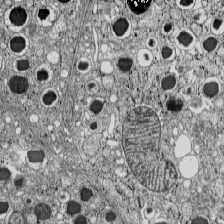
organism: C57BL Mouse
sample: Pancreatic islet